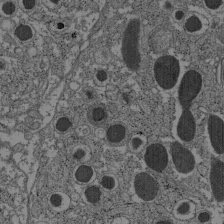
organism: C57BL Mouse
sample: Pancreatic islet